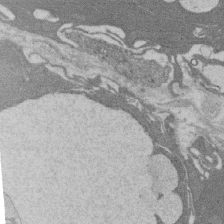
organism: Rat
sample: Salivary granule